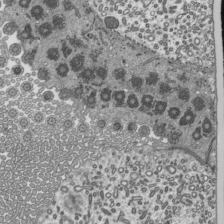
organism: Mouse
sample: Mouse epididymis efferent ductule cilia